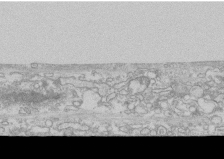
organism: Human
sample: CRL-1474